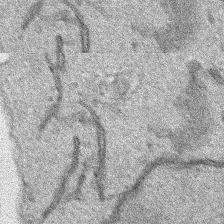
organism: Human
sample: Mitochondria in HCT116 cells